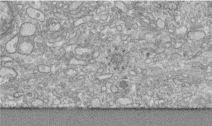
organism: Human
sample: Centriole in RPE cells